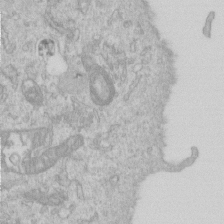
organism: Human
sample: Centriole in RPE cells